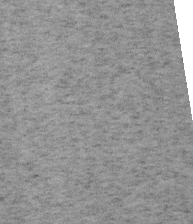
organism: Mouse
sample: OT-I killer T cells with ID8 ovarian cancer cells